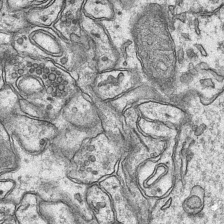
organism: Mouse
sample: CA1 Hippocampus